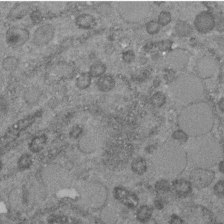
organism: C. elegans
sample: C. elegans embryo early stage